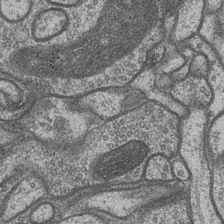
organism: Drosophila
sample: Optic medulla